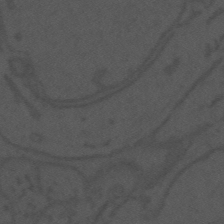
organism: Mouse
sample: Suprachiasmatic nucleus